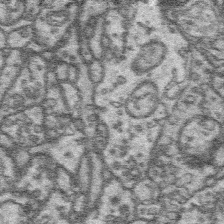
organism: Platynereis dumerilii